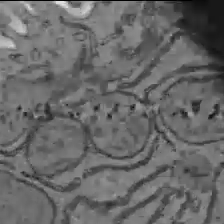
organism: C57BL Mouse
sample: Liver